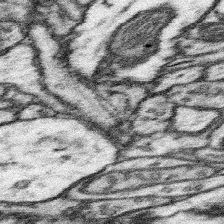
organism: Mouse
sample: Somatosensory cortex neuropil